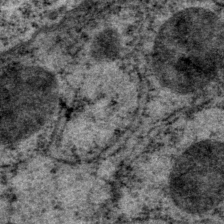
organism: P. pacificus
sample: Pharynx